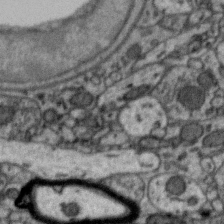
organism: Zebra finch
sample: Brain